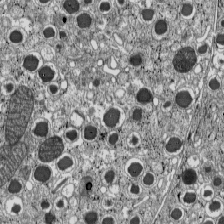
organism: C57BL Mouse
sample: Pancreatic islet